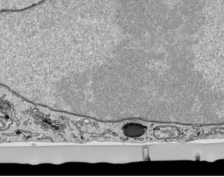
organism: Human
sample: Mitochondria in HCT116 cells